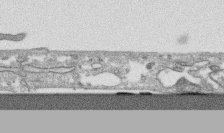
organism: Human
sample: CRL-1474